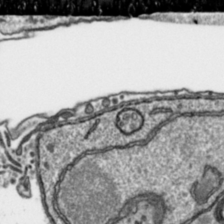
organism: Toxoplasma gondii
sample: Parasites in a vacuole inside a host cell